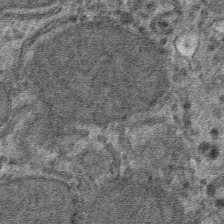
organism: Mouse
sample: Mouse hepatocytes